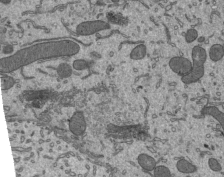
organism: Mouse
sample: Mouse epididymis efferent ductule cilia